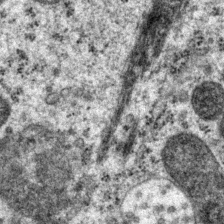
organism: P. pacificus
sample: Pharynx